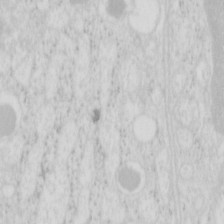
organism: Mouse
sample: Pancreas